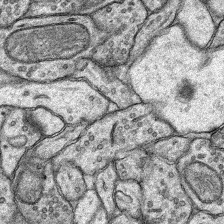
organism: Rat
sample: Hippocampus